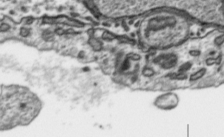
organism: Toxoplasma gondii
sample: Parasites in a vacuole inside a host cell